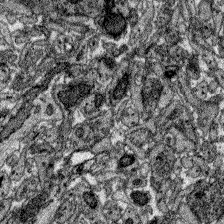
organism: Zebrafish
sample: Larval olfactory bulb